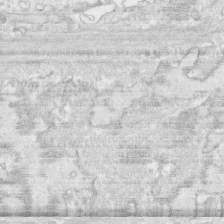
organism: Human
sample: CRL-1474